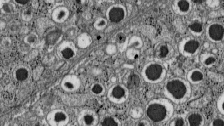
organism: C57BL Mouse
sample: Pancreatic islet